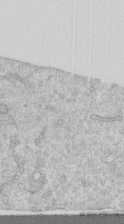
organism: Human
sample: Centriole in RPE cells